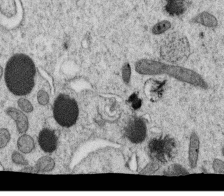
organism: C. elegans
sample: C. elegans oocyte; sperm cells